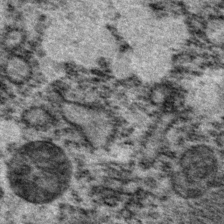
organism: P. pacificus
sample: Pharynx